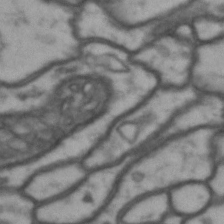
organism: Drosophila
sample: Brain